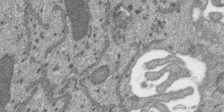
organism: Human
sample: Lung epithelial cells infected with SARS-CoV-2